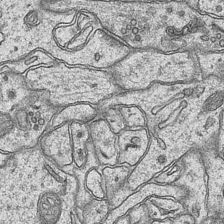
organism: Mouse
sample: CA1 Hippocampus